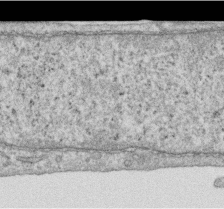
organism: Human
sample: Centriole in RPE cells